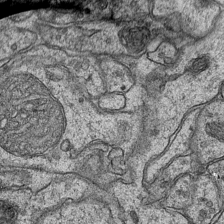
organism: Mouse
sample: CA1 Hippocampus